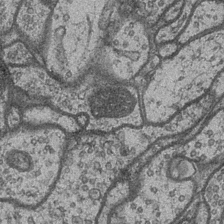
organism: Drosophila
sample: Optic medulla